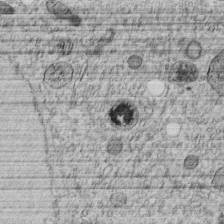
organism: C. elegans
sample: C. elegans embryo early stage